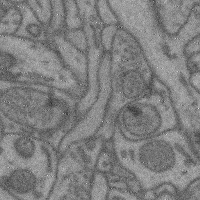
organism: Mouse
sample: Cerebral cortex